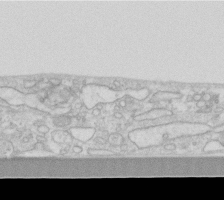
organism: Human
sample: Fibroblast cells